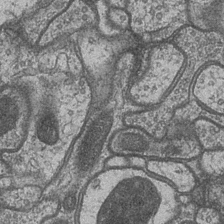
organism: Drosophila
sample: Optic medulla